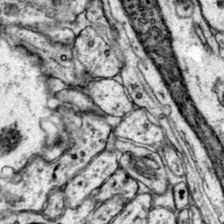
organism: Mouse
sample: Primary visual cortex